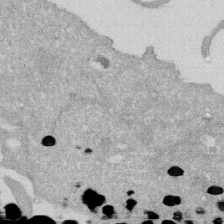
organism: Human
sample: HIV infected U937 cells